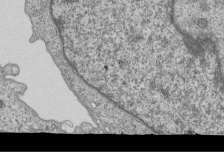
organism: Human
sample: MDA-MB-231 cells